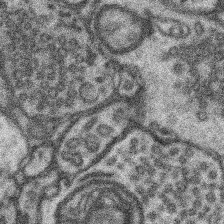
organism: Mouse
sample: Somatosensory cortex neuropil